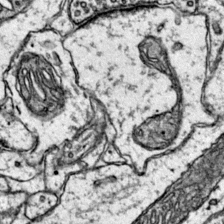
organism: Mouse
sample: Primary visual cortex